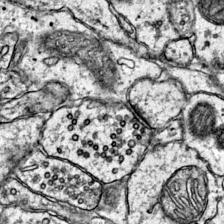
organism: Mouse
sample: Primary visual cortex